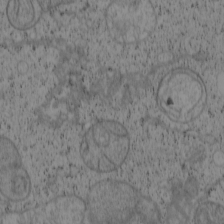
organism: African green monkey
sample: COS-7 cells